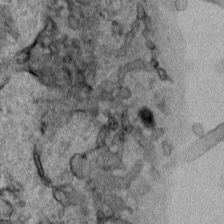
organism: Human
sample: Mitochondria in HCT116 cells